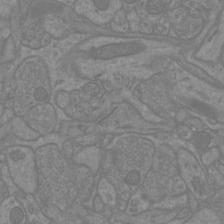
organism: Mouse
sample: Cortical neurons